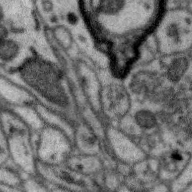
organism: Zebra finch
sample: Brain